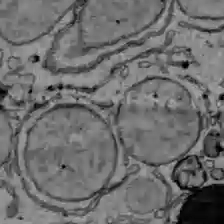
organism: C57BL Mouse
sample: Liver